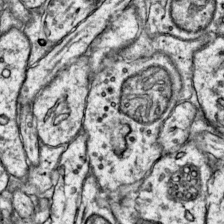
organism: Mouse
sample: Primary visual cortex